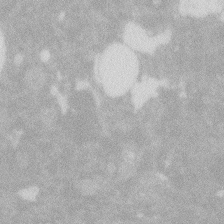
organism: Zebrafish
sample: Macrophage